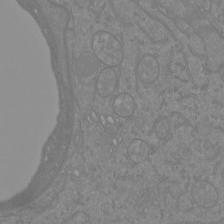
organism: Mouse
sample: Cortical neurons